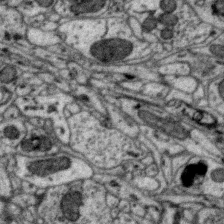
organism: Zebra finch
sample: Brain